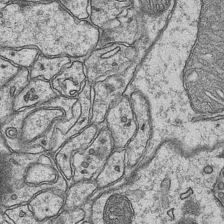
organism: Mouse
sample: CA1 Hippocampus